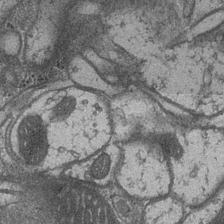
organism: Drosophila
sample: Optic medulla